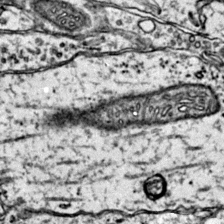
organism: Mouse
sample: Primary visual cortex